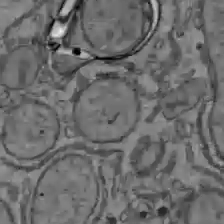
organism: C57BL Mouse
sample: Liver